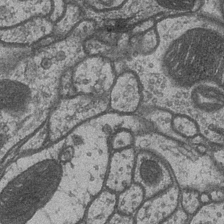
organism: Drosophila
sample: Optic medulla